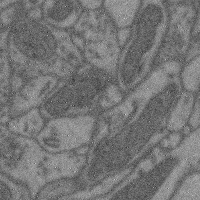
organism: Mouse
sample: Cerebral cortex